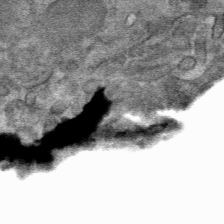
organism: Mouse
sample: Mouse hepatocytes